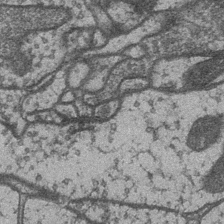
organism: Drosophila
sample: Optic medulla